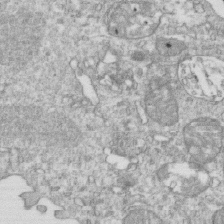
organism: Mouse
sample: Activated OT-1 CD8+ T cells